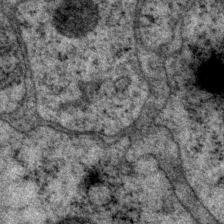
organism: P. pacificus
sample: Pharynx